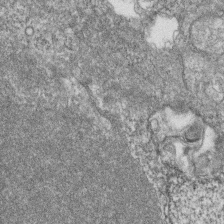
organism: Zebrafish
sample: Cilia; retinal pigment epithelium